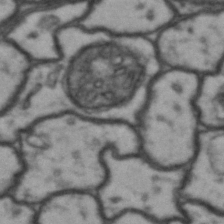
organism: Drosophila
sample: Brain